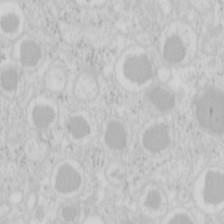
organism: Mouse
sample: Pancreas